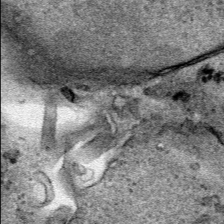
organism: Human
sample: Mitochondria in HCT116 cells